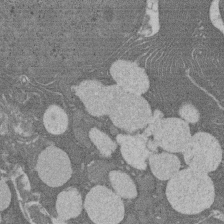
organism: Rat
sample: Salivary granule